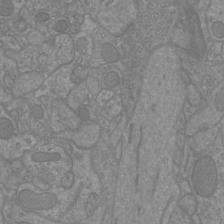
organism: Mouse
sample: Cortical neurons